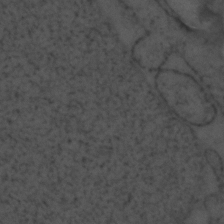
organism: Zebrafish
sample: Zebrafish embryo